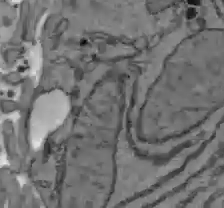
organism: C57BL Mouse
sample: Liver